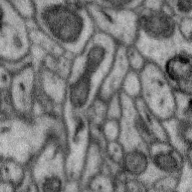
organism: Zebra finch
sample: Brain